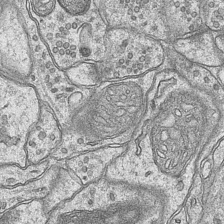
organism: Mouse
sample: CA1 Hippocampus